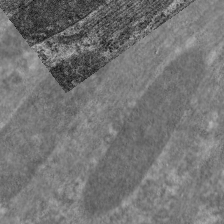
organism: C. elegans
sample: Pharynx